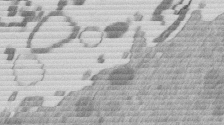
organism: Mouse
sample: Dividing mouse embryo 1 cell stage